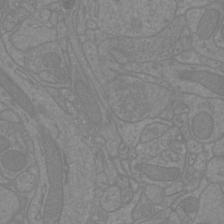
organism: Mouse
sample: Cortical neurons